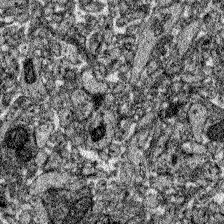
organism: Zebrafish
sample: Larval olfactory bulb